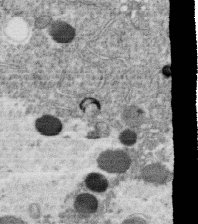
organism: C. elegans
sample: C. elegans oocyte; sperm cells